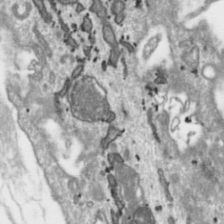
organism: Toxoplasma gondii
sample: Parasites in a vacuole inside a host cell